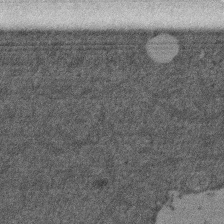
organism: Mouse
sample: Dividing mouse embryo 1 cell stage